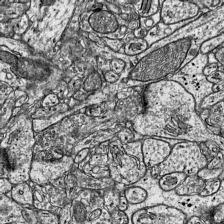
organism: Mouse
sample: Visual Cortex